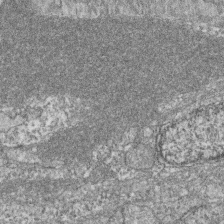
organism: Zebrafish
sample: Cilia; retinal pigment epithelium